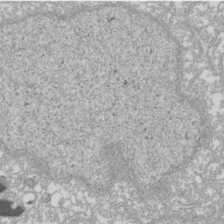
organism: Xenopus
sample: Cilia; centrioles in frog embryo cells